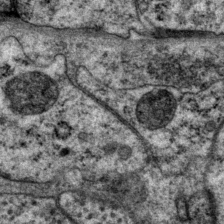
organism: P. pacificus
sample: Pharynx